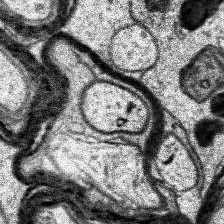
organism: Human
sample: Temporal Lobe